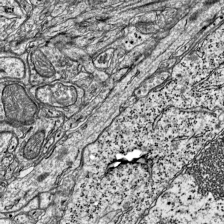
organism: Mouse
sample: Visual Cortex